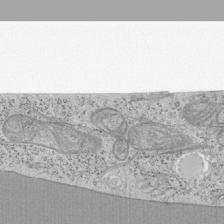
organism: Human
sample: HeLa cells